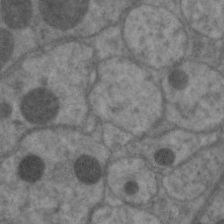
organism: C. elegans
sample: Pharynx